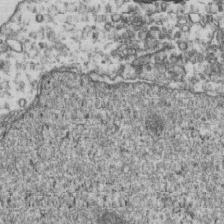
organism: Human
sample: Activated Jurkat CD4+ T cells